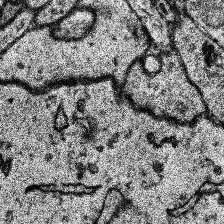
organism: Human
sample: Temporal Lobe